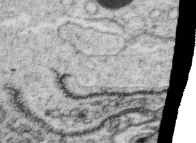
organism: C. elegans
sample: C. elegans oocyte; sperm cells